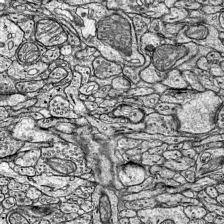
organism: Mouse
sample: Visual Cortex